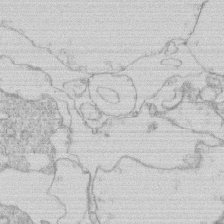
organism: Human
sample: Macrophage cells